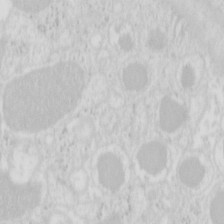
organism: Mouse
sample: Pancreas